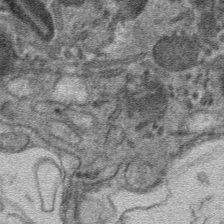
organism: Mouse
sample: Mouse hepatocytes